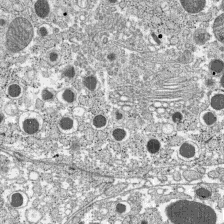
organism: C57BL Mouse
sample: Pancreatic islet